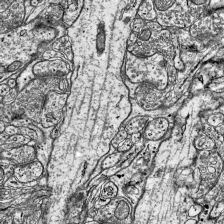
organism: Mouse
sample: Visual Cortex